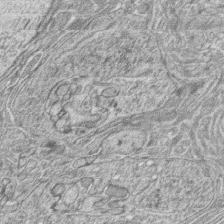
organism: Zebrafish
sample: synaptic ribbons in rod cells and cone cells